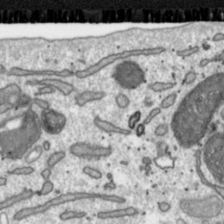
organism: Toxoplasma gondii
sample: Parasites in a vacuole inside a host cell